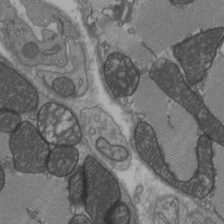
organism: C57BL Mouse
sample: Heart